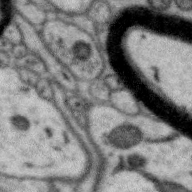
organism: Zebra finch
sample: Brain